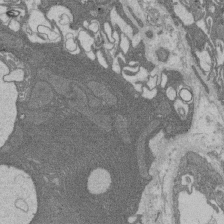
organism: Rat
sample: Salivary granule